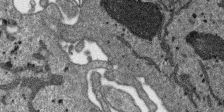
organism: Human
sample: Lung epithelial cells infected with SARS-CoV-2